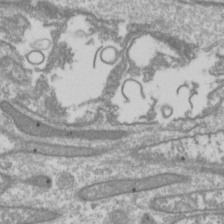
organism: Drosophila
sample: Cell division; meiosis; drosophila spermatocytes